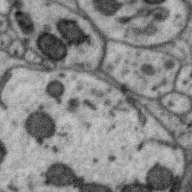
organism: Zebra finch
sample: Brain